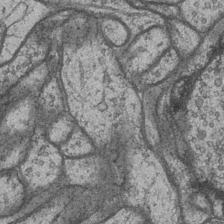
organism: Drosophila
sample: Optic medulla